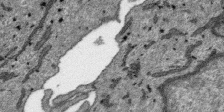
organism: Human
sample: Lung epithelial cells, uninfected (mock) control